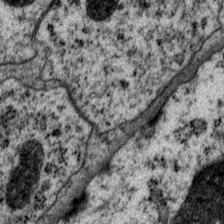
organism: P. pacificus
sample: Pharynx